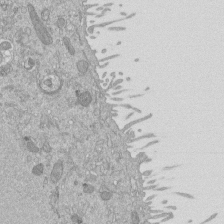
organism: Mouse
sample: ED-1 cell nuclei; centrioles